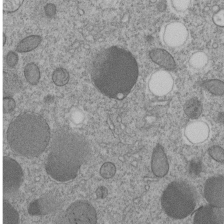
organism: C. elegans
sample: C. elegans embryo early stage